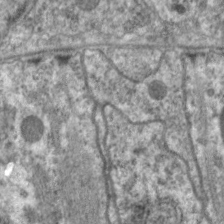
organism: C. elegans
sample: Pharynx